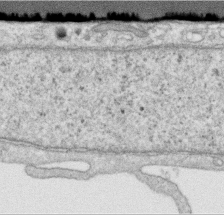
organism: Human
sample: Centriole in RPE cells